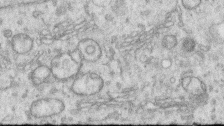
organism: Human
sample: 1205lu cells